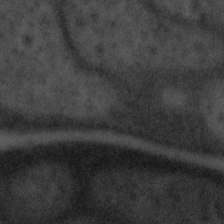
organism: Tuwongella immobilis